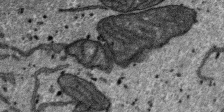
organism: Human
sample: Lung epithelial cells, uninfected (mock) control